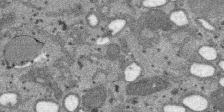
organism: Human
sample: Lung epithelial cells infected with SARS-CoV-2